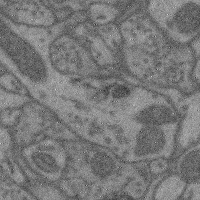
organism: Mouse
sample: Cerebral cortex